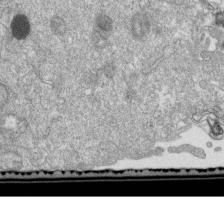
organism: Human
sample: HeLa cell HIV synapse